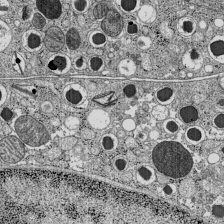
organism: C57BL Mouse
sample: Pancreatic islet